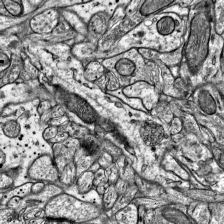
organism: Mouse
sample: Visual Cortex